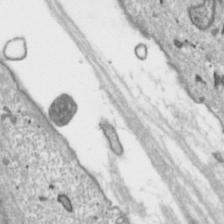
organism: Toxoplasma gondii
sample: Parasites in a vacuole inside a host cell